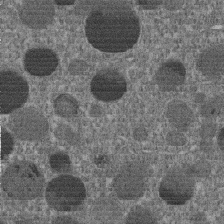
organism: C. elegans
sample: C. elegans embryo early stage